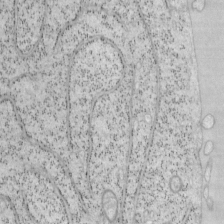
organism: Mouse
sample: OT-I killer T cells with ID8 ovarian cancer cells